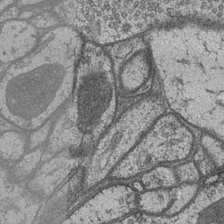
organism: Drosophila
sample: Optic medulla